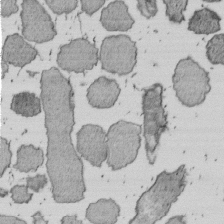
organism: E. coli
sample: Bacterial nucleoid